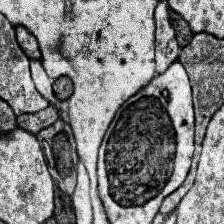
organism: Human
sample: Temporal Lobe